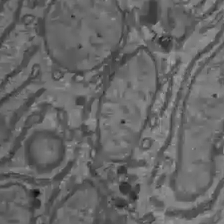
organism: C57BL Mouse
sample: Liver